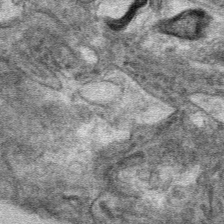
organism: Mouse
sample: Mouse hepatocytes